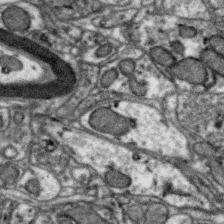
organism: Zebra finch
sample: Brain